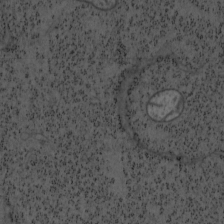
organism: Mouse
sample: OT-I killer T cells with ID8 ovarian cancer cells